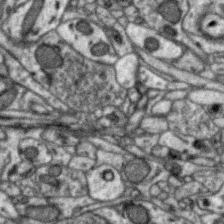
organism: Zebra finch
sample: Brain